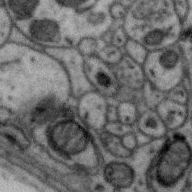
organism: Zebra finch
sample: Brain